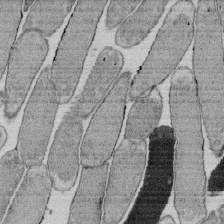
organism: E. coli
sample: Bacterial nucleoid